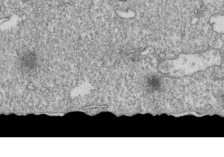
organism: Human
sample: HeLa cell HIV synapse